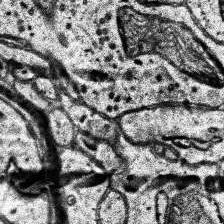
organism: Human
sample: Temporal Lobe